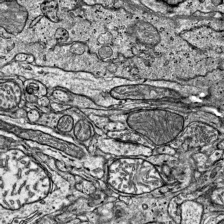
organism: Mouse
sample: Visual Cortex